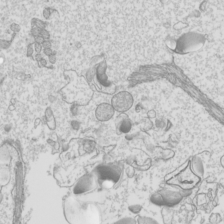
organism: Mouse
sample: Cilia; mouse epididymis